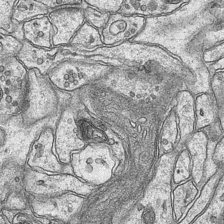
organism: Mouse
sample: CA1 Hippocampus